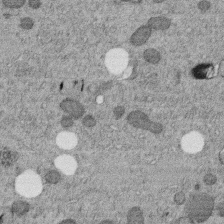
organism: C. elegans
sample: C. elegans embryo early stage